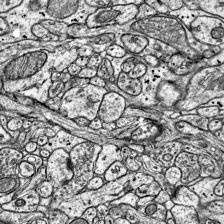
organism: Mouse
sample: Visual Cortex